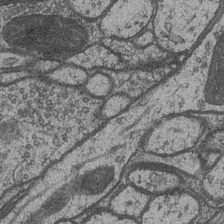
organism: Drosophila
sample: Optic medulla